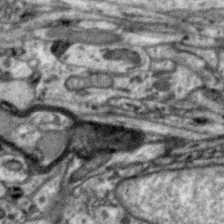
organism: Zebra finch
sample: Brain